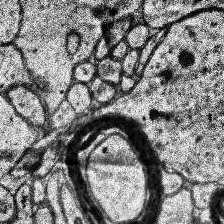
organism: Human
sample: Temporal Lobe